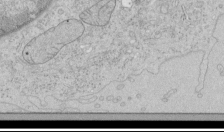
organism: Human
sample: Mitochondria in HCT116 cells